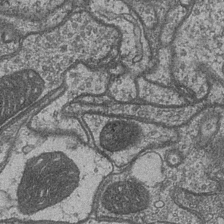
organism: Drosophila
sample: Optic medulla